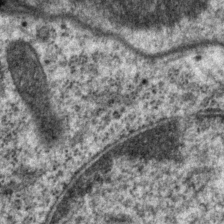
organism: P. pacificus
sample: Pharynx